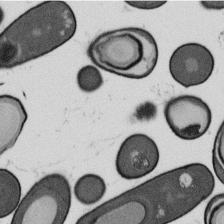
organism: B. subtilis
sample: Bacterial spore